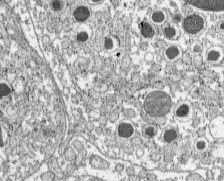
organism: C57BL Mouse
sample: Pancreatic islet